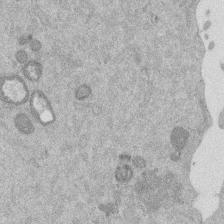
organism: Mouse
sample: Dividing mouse embryo 1 cell stage